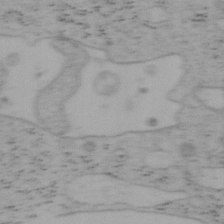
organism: Mouse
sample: OT-I killer T cells with ID8 ovarian cancer cells